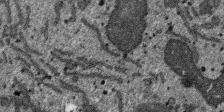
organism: Human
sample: Lung epithelial cells infected with SARS-CoV-2